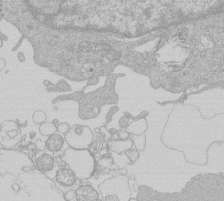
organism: Human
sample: Macrophage cells